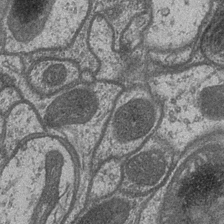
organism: Drosophila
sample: Optic medulla